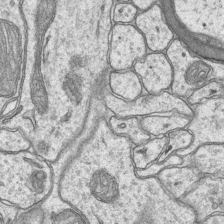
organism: Mouse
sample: CA1 Hippocampus